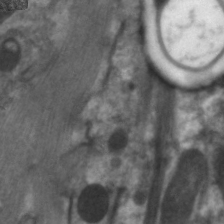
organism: C. elegans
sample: Pharynx